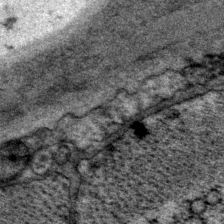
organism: P. pacificus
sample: Pharynx